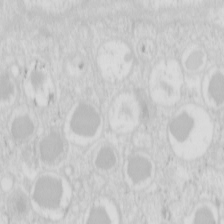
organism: Mouse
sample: Pancreas